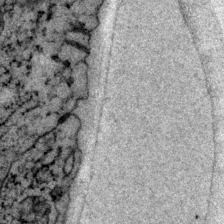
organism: P. pacificus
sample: Pharynx